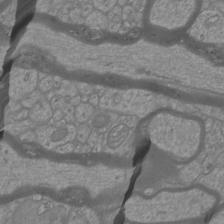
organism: Mouse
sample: Cortical neurons